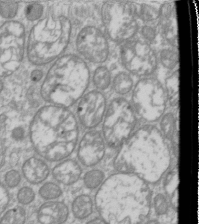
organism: Drosophila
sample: Cell division; meiosis; drosophila spermatocytes